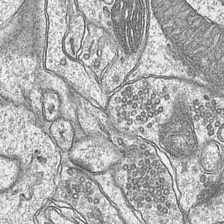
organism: Mouse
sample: CA1 Hippocampus